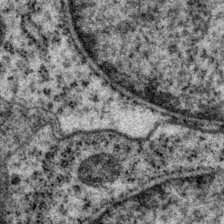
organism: P. pacificus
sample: Pharynx